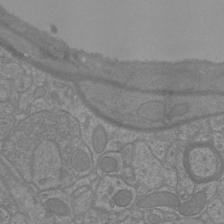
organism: Mouse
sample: Cortical neurons